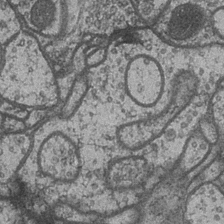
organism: Drosophila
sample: Optic medulla